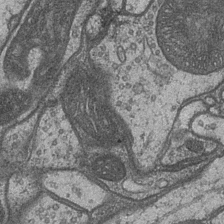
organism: Drosophila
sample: Optic medulla